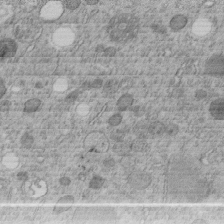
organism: C. elegans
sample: C. elegans embryo early stage